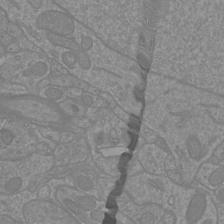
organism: Mouse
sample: Cortical neurons